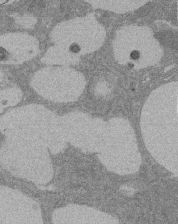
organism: Rat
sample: Salivary granule